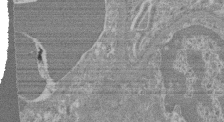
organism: Mouse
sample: Glomerulus